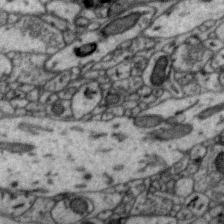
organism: Zebra finch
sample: Brain